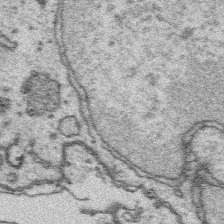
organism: Platynereis dumerilii